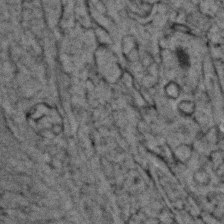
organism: Zebrafish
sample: Zebrafish embryo